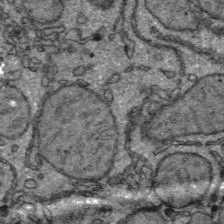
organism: C57BL Mouse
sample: Liver